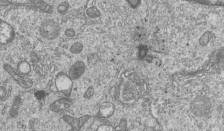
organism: Human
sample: MDA-MB-231 cells